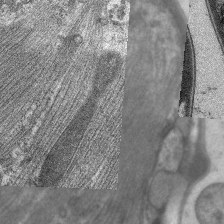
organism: C. elegans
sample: Pharynx